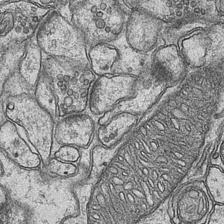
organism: Mouse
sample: CA1 Hippocampus